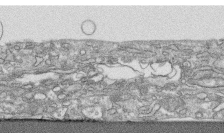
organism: Human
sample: CRL-1474